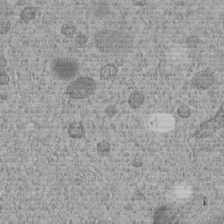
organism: C. elegans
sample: C. elegans embryo early stage